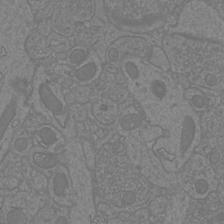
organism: Mouse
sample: Cortical neurons